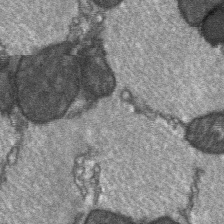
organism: C57BL Mouse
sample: Soleus